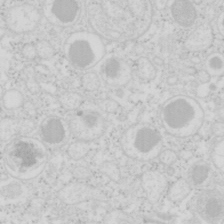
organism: Mouse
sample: Pancreas